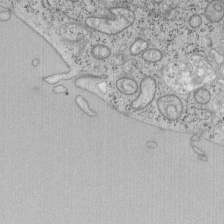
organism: Mouse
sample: OT-I killer T cells with ID8 ovarian cancer cells